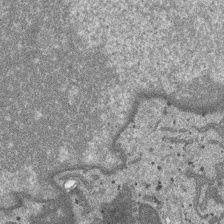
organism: Human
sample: Lung epithelial cells infected with SARS-CoV-2